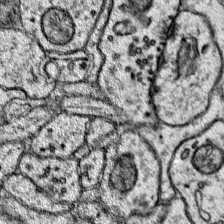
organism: Mouse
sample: Primary visual cortex